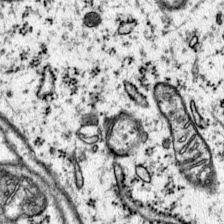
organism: Mouse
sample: Primary visual cortex